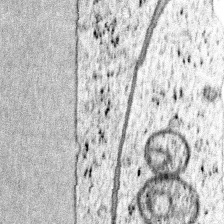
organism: Human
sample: HeLa cells